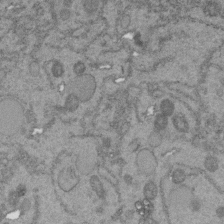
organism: C. elegans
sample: C. elegans embryo early stage